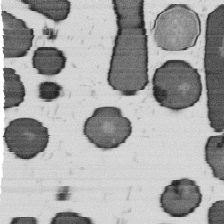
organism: B. subtilis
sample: Bacterial spore